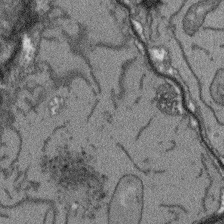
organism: Arabidopsis thaliana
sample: Root tip